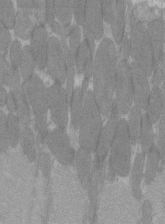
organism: C57BL Mouse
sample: Tibialis anterior muscle cell